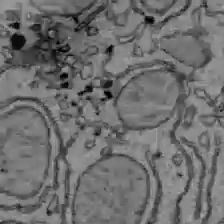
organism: C57BL Mouse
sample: Liver